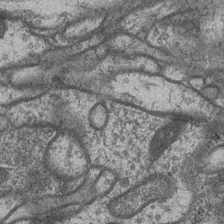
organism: Drosophila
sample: Optic medulla